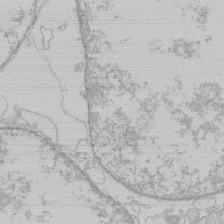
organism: Human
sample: Macrophage cells